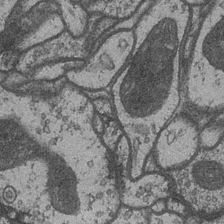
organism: Drosophila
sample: Optic medulla